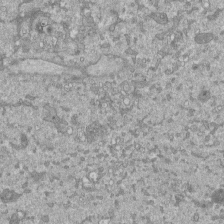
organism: Mouse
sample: ED-1 cell nuclei; centrioles